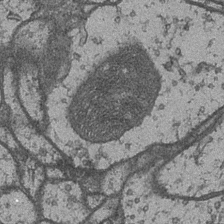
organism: Drosophila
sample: Optic medulla